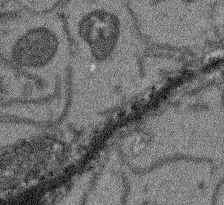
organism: Arabidopsis thaliana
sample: Root tip